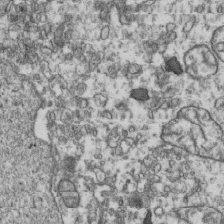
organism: Human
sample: Activated Jurkat CD4+ T cells